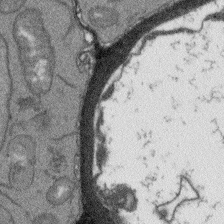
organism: Arabidopsis thaliana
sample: Root tip